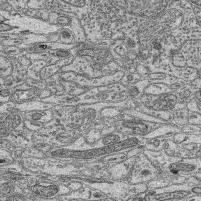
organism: Mouse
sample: Retina